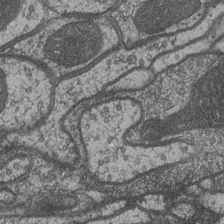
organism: Drosophila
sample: Optic medulla